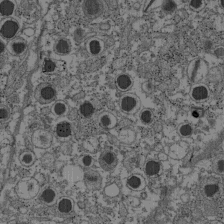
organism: C57BL Mouse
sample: Pancreatic islet